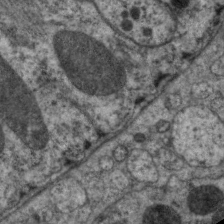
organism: C. elegans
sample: Pharynx